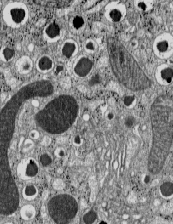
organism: C57BL Mouse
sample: Pancreatic islet